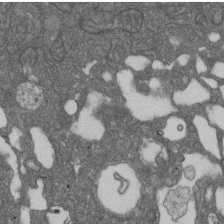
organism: Drosophila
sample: Nephrocyte